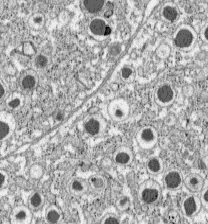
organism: C57BL Mouse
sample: Pancreatic islet